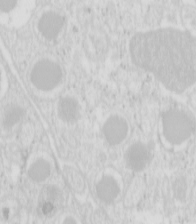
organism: Mouse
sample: Pancreas